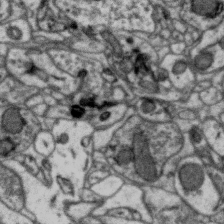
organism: Zebra finch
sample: Brain